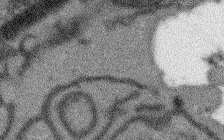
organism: Arabidopsis thaliana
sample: Root tip